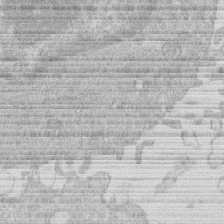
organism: Human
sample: Macrophage cells